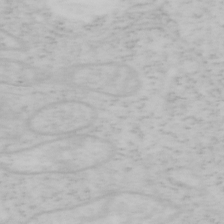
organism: Mouse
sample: OT-I killer T cells with ID8 ovarian cancer cells